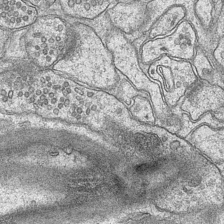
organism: Mouse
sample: CA1 Hippocampus